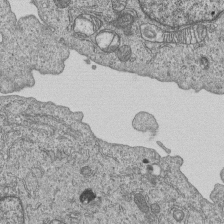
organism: Human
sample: MDA-MB-231 cells